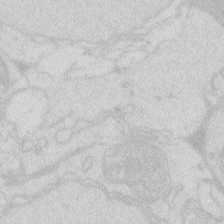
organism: Zebrafish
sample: Macrophage